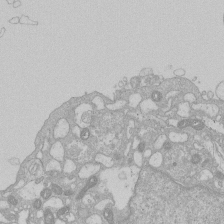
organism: Human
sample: Macrophage cells